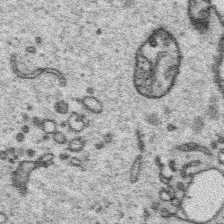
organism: Platynereis dumerilii